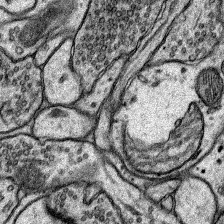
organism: Rat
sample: Hippocampus